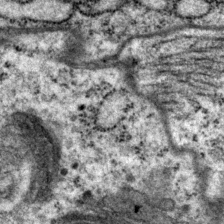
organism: P. pacificus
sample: Pharynx